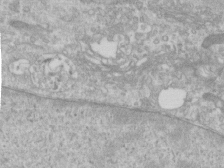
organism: Human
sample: Centriole in RPE cells